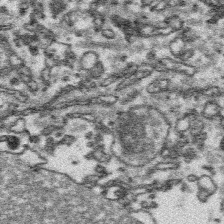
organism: Platynereis dumerilii